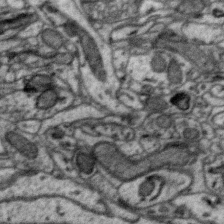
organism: Zebra finch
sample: Brain